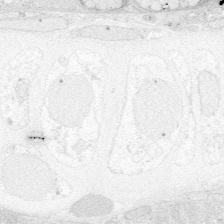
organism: Zebrafish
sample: Whole-Brain